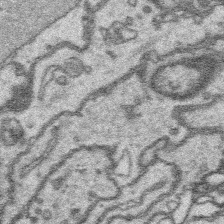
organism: Platynereis dumerilii